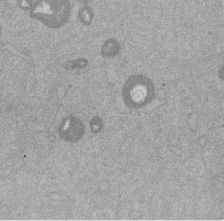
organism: Mouse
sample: Dividing mouse embryo 1 cell stage